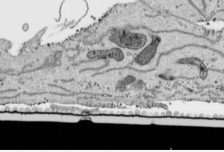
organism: Human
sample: Mitochondria in HCT116 cells